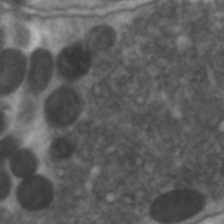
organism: C. elegans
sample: Pharynx